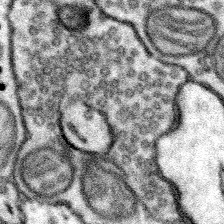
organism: Mouse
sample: Somatosensory cortex neuropil